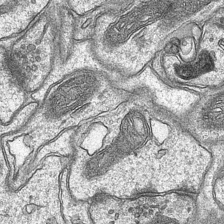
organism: Mouse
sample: CA1 Hippocampus